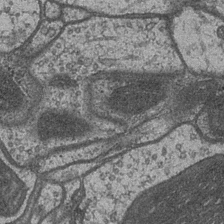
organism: Drosophila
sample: Optic medulla